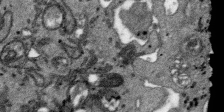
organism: Human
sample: Lung epithelial cells, uninfected (mock) control